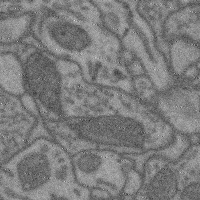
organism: Mouse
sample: Cerebral cortex